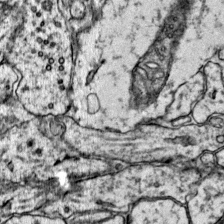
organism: Mouse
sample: Primary visual cortex